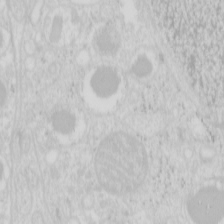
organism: Mouse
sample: Pancreas